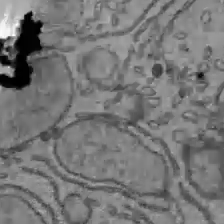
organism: C57BL Mouse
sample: Liver